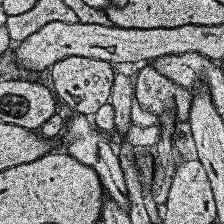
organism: Human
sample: Temporal Lobe